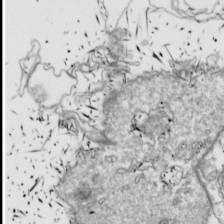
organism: Drosophila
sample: Cell division; meiosis; drosophila spermatocytes